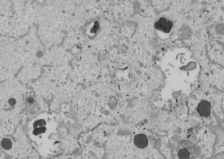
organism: Human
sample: Mitochondria in U2OS cells